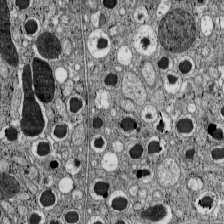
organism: C57BL Mouse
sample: Pancreatic islet